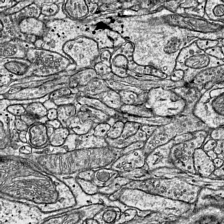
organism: Mouse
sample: Visual Cortex